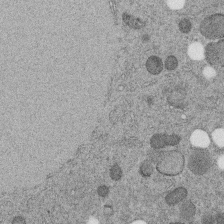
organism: C. elegans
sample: C. elegans embryo early stage